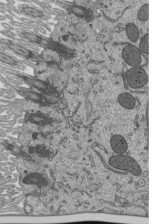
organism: Mouse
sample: Mouse epididymis efferent ductule cilia